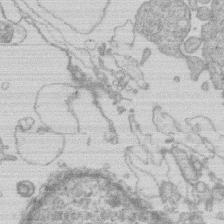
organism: Human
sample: Macrophage cells